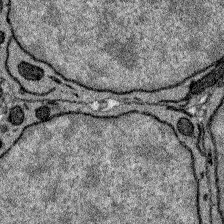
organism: Zebrafish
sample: Larval olfactory bulb